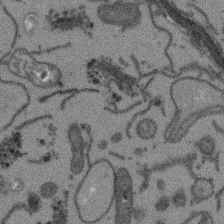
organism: Arabidopsis thaliana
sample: Root tip